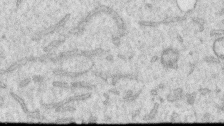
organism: Human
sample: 1205lu cells